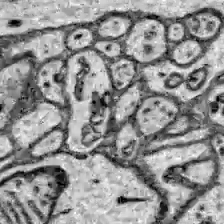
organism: Zebrafish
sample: Brain